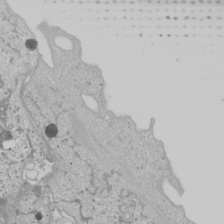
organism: Human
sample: Mitochondria in U2OS cells